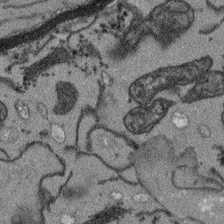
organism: Arabidopsis thaliana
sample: Root tip